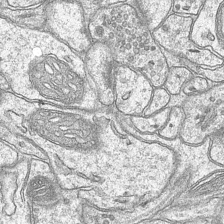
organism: Mouse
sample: CA1 Hippocampus